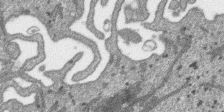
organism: Human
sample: Lung epithelial cells infected with SARS-CoV-2